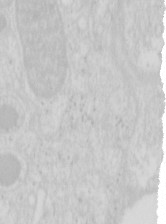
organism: Mouse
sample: Pancreas